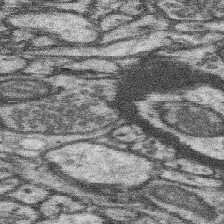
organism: Mouse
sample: Somatosensory cortex neuropil